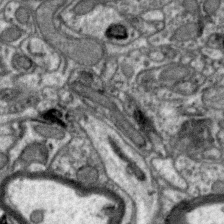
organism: Zebra finch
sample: Brain